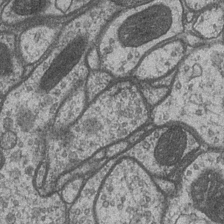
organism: Drosophila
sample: Optic medulla